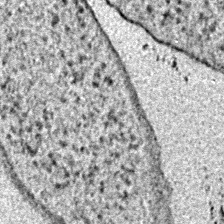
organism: E. coli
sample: E. Coli Bacteria